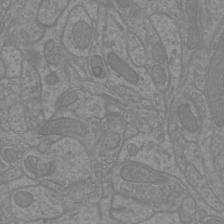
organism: Mouse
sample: Cortical neurons